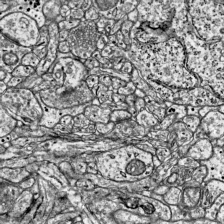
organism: Mouse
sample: Visual Cortex